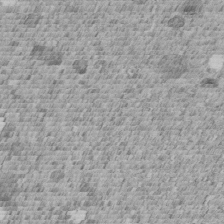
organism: C. elegans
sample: C. elegans embryo early stage